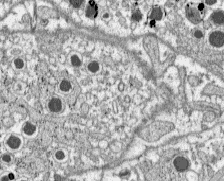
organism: C57BL Mouse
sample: Pancreatic islet